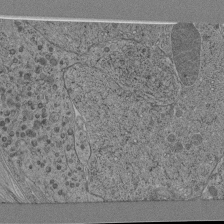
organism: C. elegans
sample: C. elegans pharynx